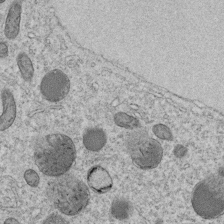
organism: C. elegans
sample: C. elegans embryo early stage